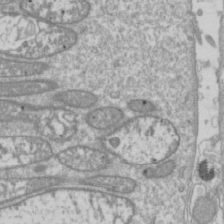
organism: Drosophila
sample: Cell division; meiosis; drosophila spermatocytes